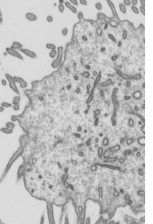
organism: Mouse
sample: Mouse epididymis efferent ductule cilia